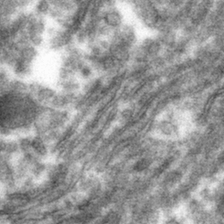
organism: Mouse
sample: Mouse hepatocytes